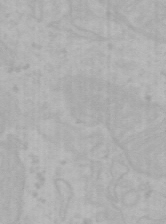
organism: Mouse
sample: Choroid plexus